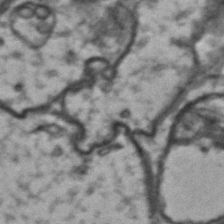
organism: Drosophila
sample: Brain